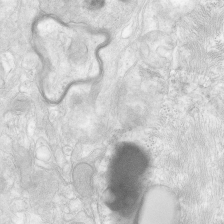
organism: Human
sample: Neocortex